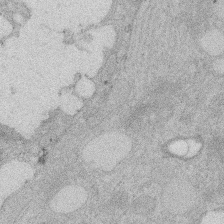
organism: Rat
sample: Salivary granule